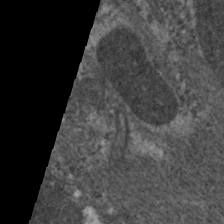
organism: C. elegans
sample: Pharynx